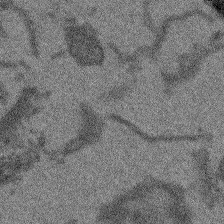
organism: Arabidopsis thaliana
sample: Root tip